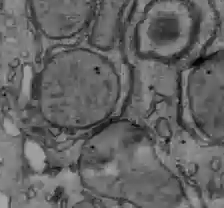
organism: C57BL Mouse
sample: Liver